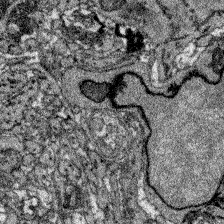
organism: Zebrafish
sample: Larval olfactory bulb